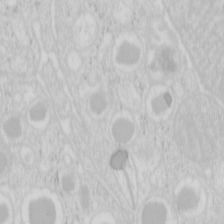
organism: Mouse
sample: Pancreas